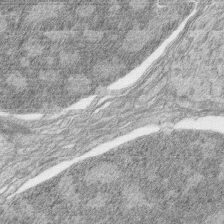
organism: Zebrafish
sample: synaptic ribbons in rod cells and cone cells